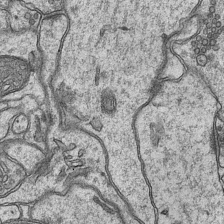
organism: Mouse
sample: CA1 Hippocampus